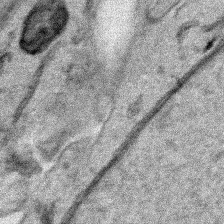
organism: Human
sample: Mitochondria in HCT116 cells